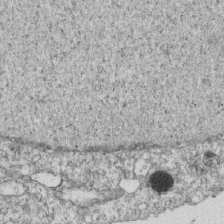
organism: Human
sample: HeLa cell HIV synapse